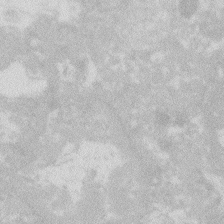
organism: Zebrafish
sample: Macrophage